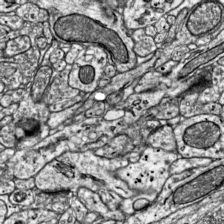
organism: Mouse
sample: Visual Cortex